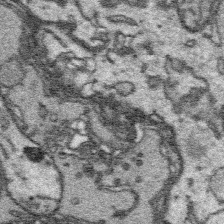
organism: Platynereis dumerilii